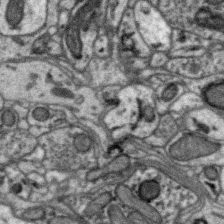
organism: Zebra finch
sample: Brain